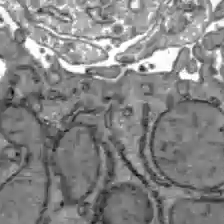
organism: C57BL Mouse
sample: Liver